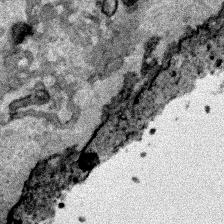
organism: Human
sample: Mitochondria in HCT116 cells